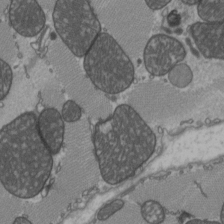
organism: C57BL Mouse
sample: Heart